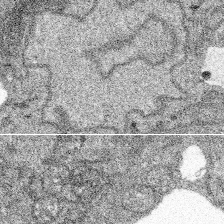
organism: Spongilla lacustris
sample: Multiple